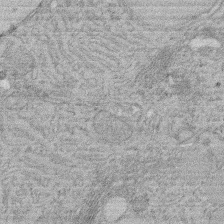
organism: Rat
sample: Salivary granule